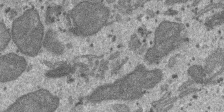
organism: Human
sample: Lung epithelial cells infected with SARS-CoV-2